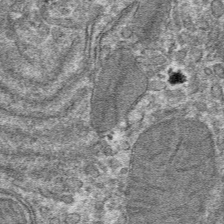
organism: Mouse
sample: Mouse hepatocytes